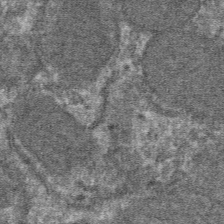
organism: Mouse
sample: Mouse hepatocytes